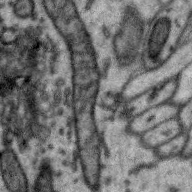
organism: Zebra finch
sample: Brain